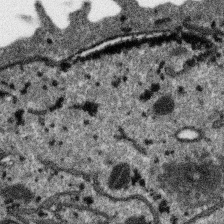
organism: Human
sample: Lung epithelial cells infected with SARS-CoV-2